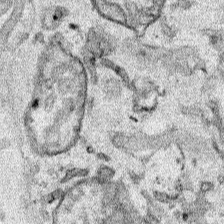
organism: Human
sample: Mitochondria in HCT116 cells